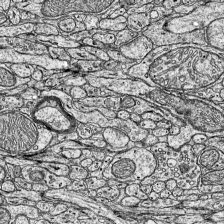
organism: Mouse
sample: Visual Cortex